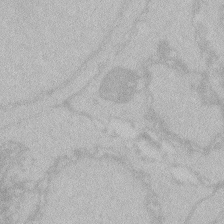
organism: Zebrafish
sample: Macrophage infected with Toxoplasma gondii